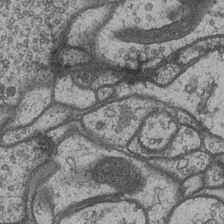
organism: Drosophila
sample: Optic medulla